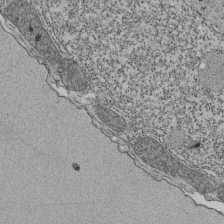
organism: Tetrahymena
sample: Cilia in tetrahymena